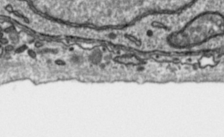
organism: Toxoplasma gondii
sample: Parasites in a vacuole inside a host cell